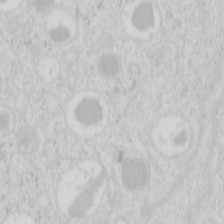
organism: Mouse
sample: Pancreas